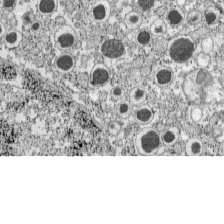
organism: C57BL Mouse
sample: Pancreatic islet